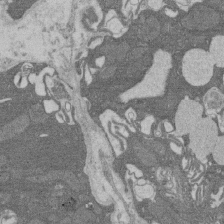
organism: Rat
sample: Salivary granule